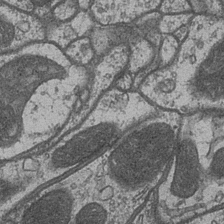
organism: Drosophila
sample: Optic medulla